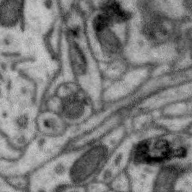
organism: Zebra finch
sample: Brain